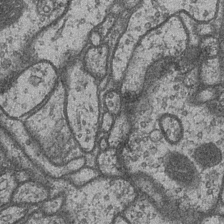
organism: Drosophila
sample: Optic medulla